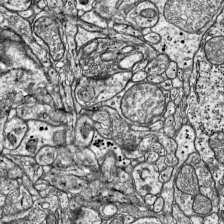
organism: Mouse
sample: Visual Cortex